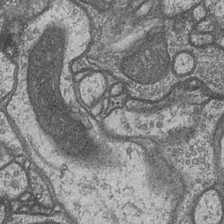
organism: Drosophila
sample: Optic medulla